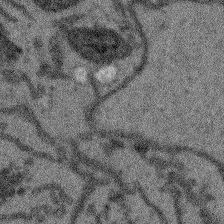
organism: Arabidopsis thaliana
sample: Root tip